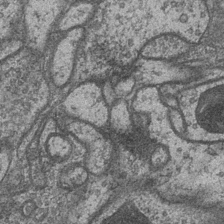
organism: Drosophila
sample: Optic medulla